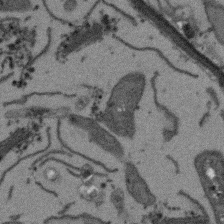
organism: Arabidopsis thaliana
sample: Root tip